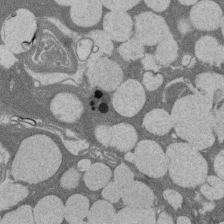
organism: Rat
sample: Salivary granule